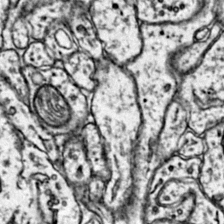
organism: Mouse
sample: Primary visual cortex